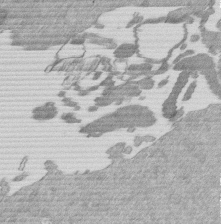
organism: Mouse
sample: Dividing mouse embryo 1 cell stage